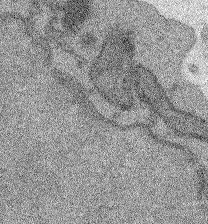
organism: Human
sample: HeLa cells